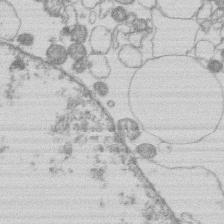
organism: Human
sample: Macrophage cells